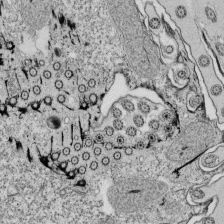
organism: Tetrahymena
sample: Cilia in tetrahymena